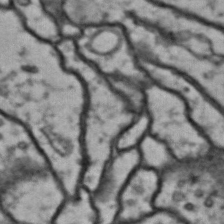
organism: Drosophila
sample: Brain